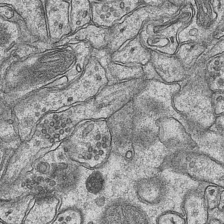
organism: Mouse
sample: CA1 Hippocampus